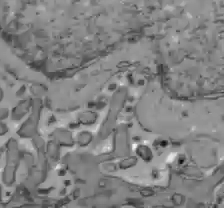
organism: C57BL Mouse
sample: Liver